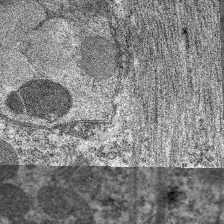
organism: C. elegans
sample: Pharynx